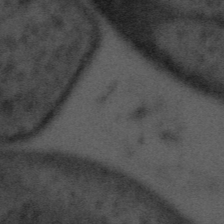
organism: Tuwongella immobilis